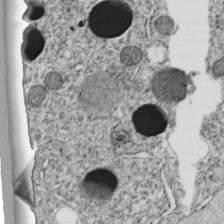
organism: C. elegans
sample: C. elegans embryo early stage